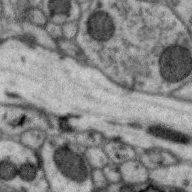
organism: Zebra finch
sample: Brain